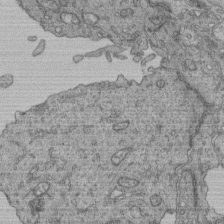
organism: Human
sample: Retinal organoid Rod and Cone cells